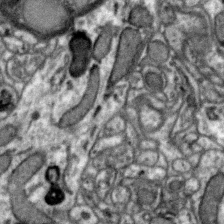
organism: Zebra finch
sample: Brain